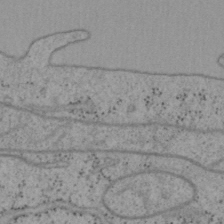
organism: Human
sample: HeLa cells